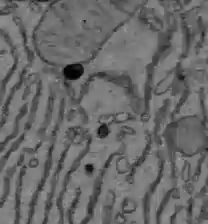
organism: C57BL Mouse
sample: Liver